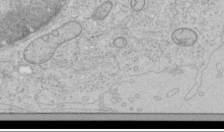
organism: Human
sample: Mitochondria in HCT116 cells